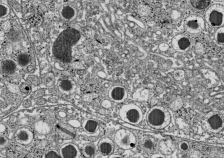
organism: C57BL Mouse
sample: Pancreatic islet